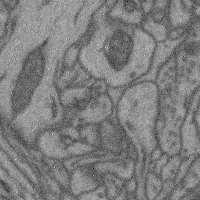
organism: Mouse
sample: Cerebral cortex